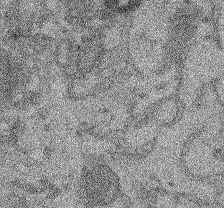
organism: Human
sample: HeLa cells